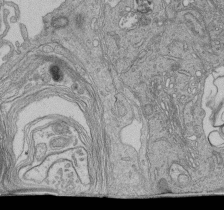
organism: Human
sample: Retinal organoid Rod and Cone cells